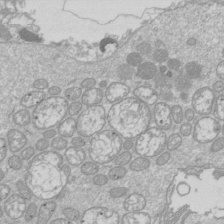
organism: Drosophila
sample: Cell division; meiosis; drosophila spermatocytes